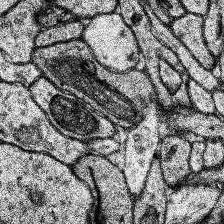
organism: Human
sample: Temporal Lobe